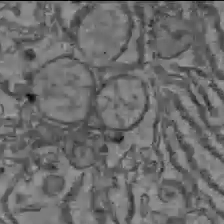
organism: C57BL Mouse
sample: Liver